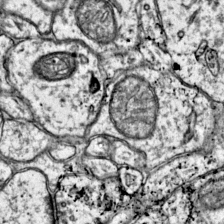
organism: Mouse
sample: Primary visual cortex